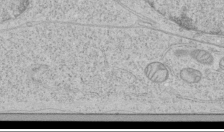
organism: Human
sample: Mitochondria in HCT116 cells